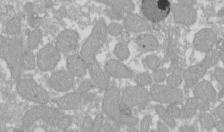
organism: Xenopus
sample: Cilia; centrioles in frog embryo cells